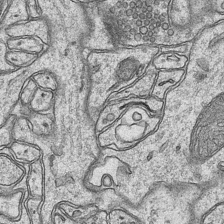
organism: Mouse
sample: CA1 Hippocampus